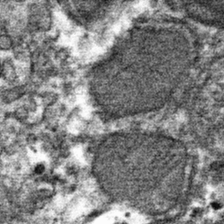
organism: Mouse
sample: Mouse hepatocytes